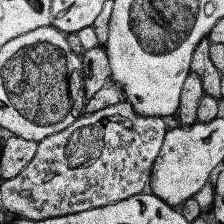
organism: Human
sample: Temporal Lobe